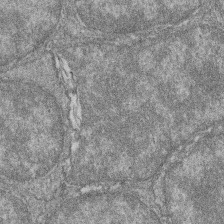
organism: Zebrafish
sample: Cilia; retinal pigment epithelium